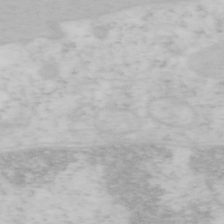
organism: Mouse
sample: OT-I killer T cells with ID8 ovarian cancer cells